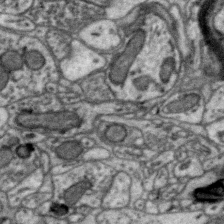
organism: Zebra finch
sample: Brain